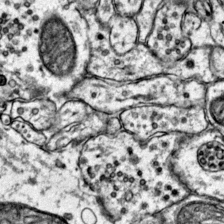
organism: Mouse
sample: Primary visual cortex